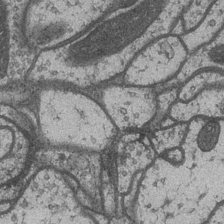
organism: Drosophila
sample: Optic medulla